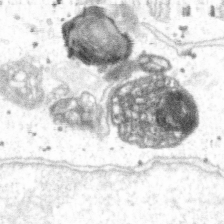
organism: Human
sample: HeLa cells